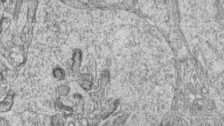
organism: Zebrafish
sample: synaptic ribbons in rod cells and cone cells